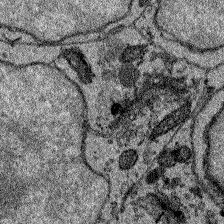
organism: Zebrafish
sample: Larval olfactory bulb